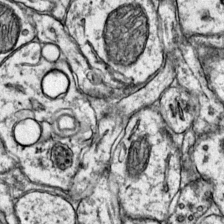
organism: Mouse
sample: Primary visual cortex